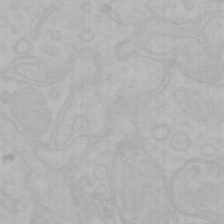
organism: Mouse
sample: Choroid plexus